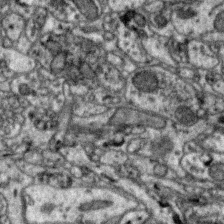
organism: Zebra finch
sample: Brain